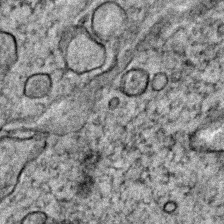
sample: Trachea